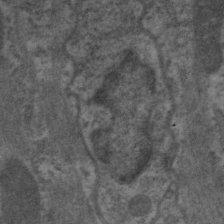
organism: C. elegans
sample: Pharynx